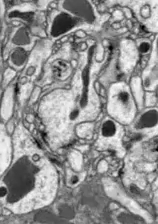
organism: Drosophila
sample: Optic lobe